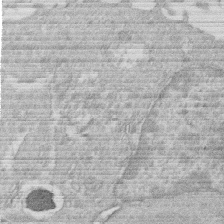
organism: Human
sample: Macrophage cells